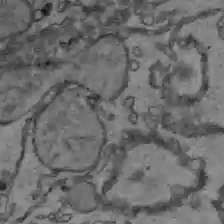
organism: C57BL Mouse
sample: Liver